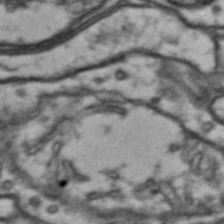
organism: Drosophila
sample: Brain